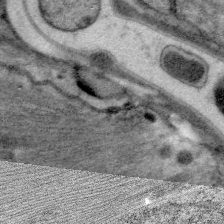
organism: C. elegans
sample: Pharynx